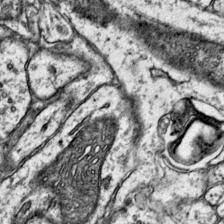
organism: Mouse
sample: Primary visual cortex